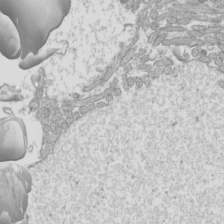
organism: Mouse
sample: Cilia; mouse epididymis